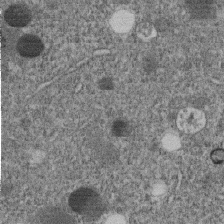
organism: C. elegans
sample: C. elegans embryo early stage